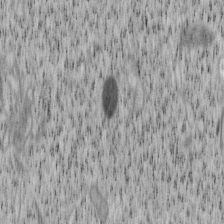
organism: Human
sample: HeLa cells